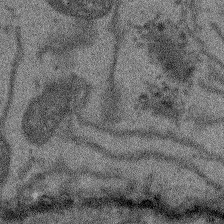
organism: Arabidopsis thaliana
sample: Root tip